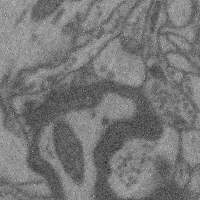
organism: Mouse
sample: Cerebral cortex